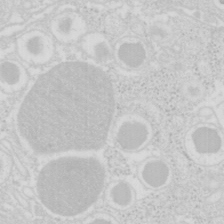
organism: Mouse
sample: Pancreas